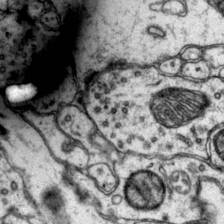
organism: Mouse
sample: Primary visual cortex